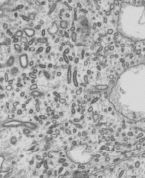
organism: Mouse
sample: Mouse epididymis efferent ductule cilia